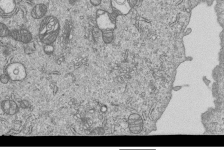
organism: Human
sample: MDA-MB-231 cells